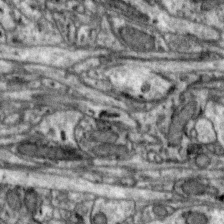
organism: Zebra finch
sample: Brain